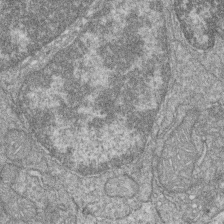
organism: Zebrafish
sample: Cilia; retinal pigment epithelium